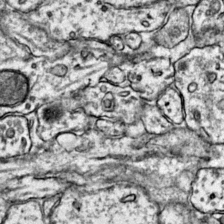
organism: Mouse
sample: Primary visual cortex